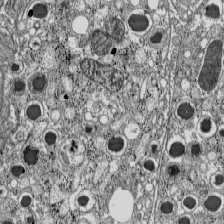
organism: C57BL Mouse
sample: Pancreatic islet